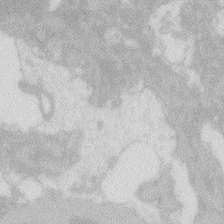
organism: Zebrafish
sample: Macrophage